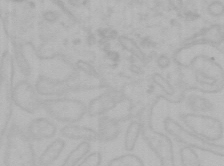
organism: Mouse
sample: Choroid plexus